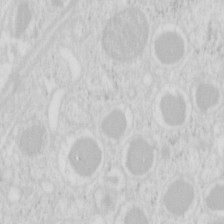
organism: Mouse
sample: Pancreas